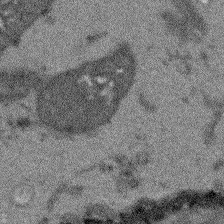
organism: Arabidopsis thaliana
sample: Root tip